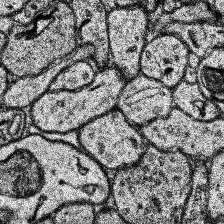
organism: Human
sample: Temporal Lobe